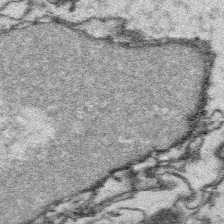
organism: Platynereis dumerilii